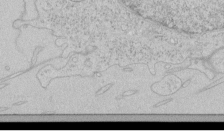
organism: Human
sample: Mitochondria in HCT116 cells